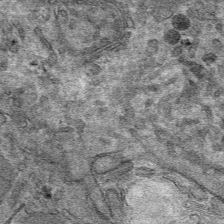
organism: Mouse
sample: Mouse hepatocytes